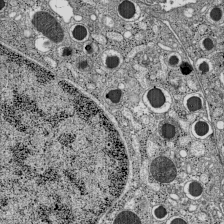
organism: C57BL Mouse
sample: Pancreatic islet